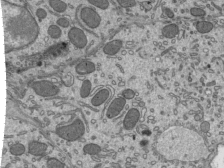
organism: Mouse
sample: Mouse epididymis efferent ductule cilia